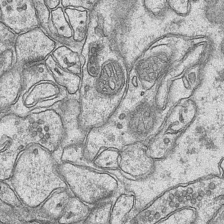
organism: Mouse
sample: CA1 Hippocampus